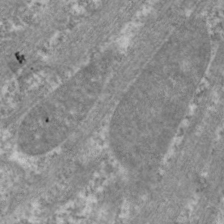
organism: C. elegans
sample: Pharynx